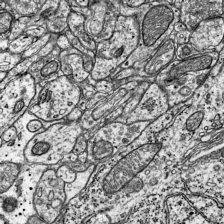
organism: Mouse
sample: Visual Cortex